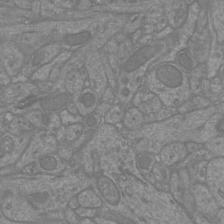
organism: Mouse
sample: Cortical neurons